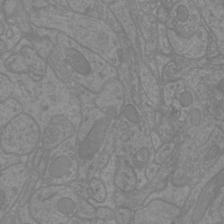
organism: Mouse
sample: Cortical neurons